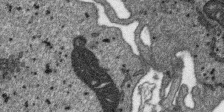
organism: Human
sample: Lung epithelial cells infected with SARS-CoV-2